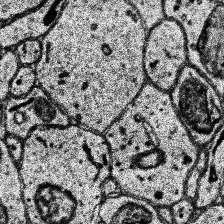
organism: Human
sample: Temporal Lobe